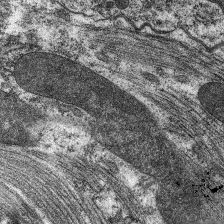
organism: C. elegans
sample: Pharynx